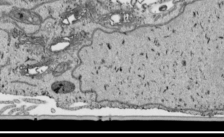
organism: Human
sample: Mitochondria in HCT116 cells